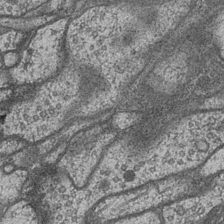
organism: Drosophila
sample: Optic medulla